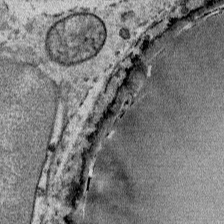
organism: Mouse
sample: Mouse Salivary gland